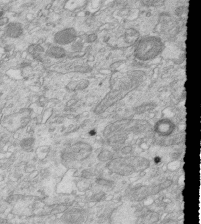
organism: Mouse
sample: Multiciliated cells